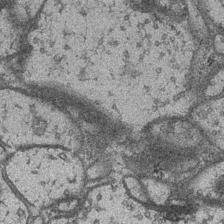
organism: Drosophila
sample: Optic medulla